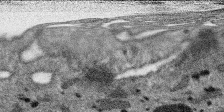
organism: Human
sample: Lung epithelial cells infected with SARS-CoV-2